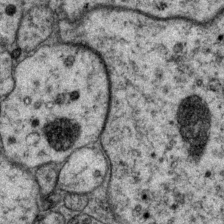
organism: P. pacificus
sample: Pharynx